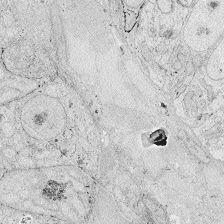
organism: Zebrafish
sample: Whole-Brain